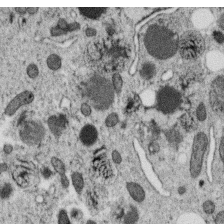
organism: C. elegans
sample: C. elegans oocyte; sperm cells